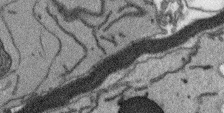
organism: Arabidopsis thaliana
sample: Root tip